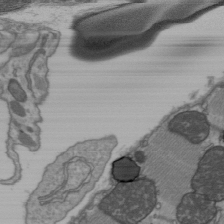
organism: C57BL Mouse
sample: Heart